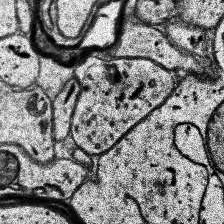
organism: Human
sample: Temporal Lobe